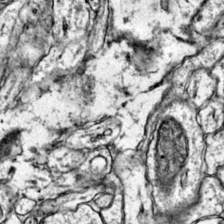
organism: Mouse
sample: Primary visual cortex